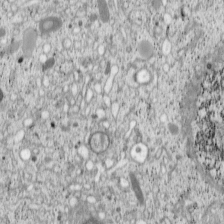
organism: African green monkey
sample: COS-7 cells